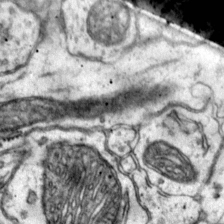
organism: Mouse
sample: Primary visual cortex